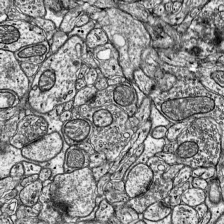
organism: Mouse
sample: Visual Cortex